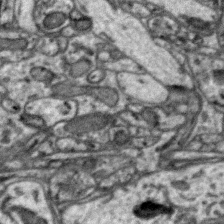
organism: Zebra finch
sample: Brain